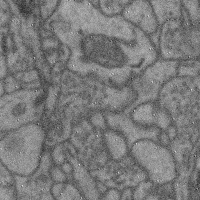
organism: Mouse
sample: Cerebral cortex